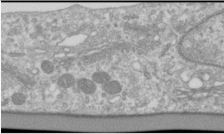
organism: Human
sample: Cilia; basal body in RPE cells